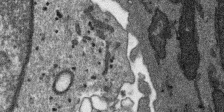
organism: Human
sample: Lung epithelial cells infected with SARS-CoV-2